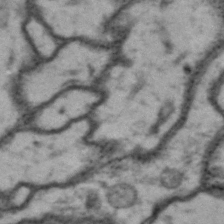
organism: Drosophila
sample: Brain